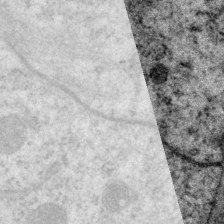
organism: P. pacificus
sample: Pharynx